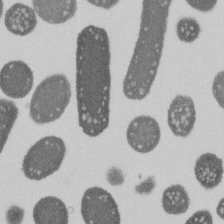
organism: E. coli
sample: Bacterial nucleoid